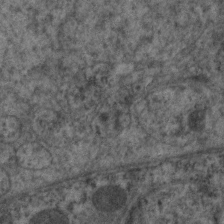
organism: C. elegans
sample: Pharynx